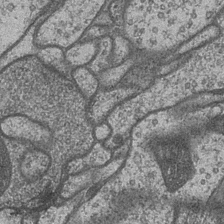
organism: Drosophila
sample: Optic medulla